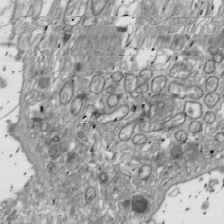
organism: Drosophila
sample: Cell division; meiosis; drosophila spermatocytes